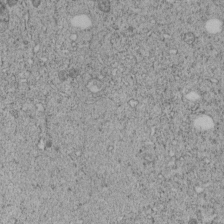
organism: C. elegans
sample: C. elegans embryo early stage